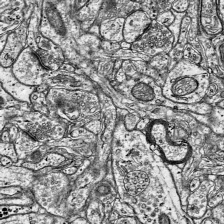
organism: Mouse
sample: Visual Cortex